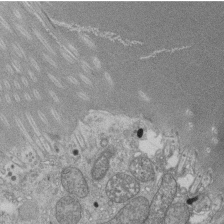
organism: Tetrahymena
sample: Cilia in tetrahymena